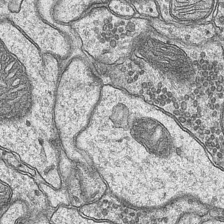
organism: Mouse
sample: CA1 Hippocampus